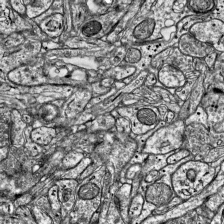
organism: Mouse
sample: Visual Cortex